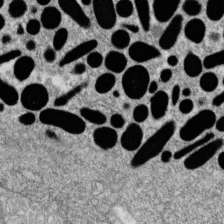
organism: Zebrafish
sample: Cilia; retinal pigment epithelium